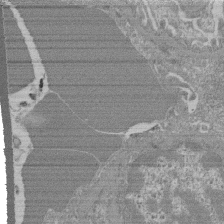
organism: Mouse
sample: Glomerulus